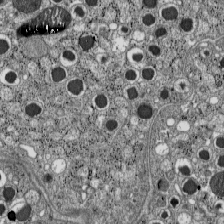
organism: C57BL Mouse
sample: Pancreatic islet